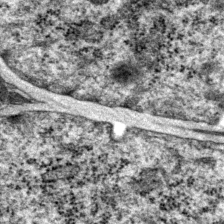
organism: P. pacificus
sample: Pharynx